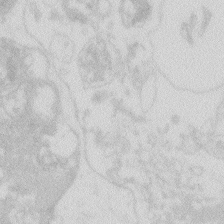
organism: Zebrafish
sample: Macrophage